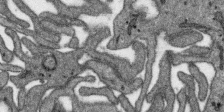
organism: Human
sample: Lung epithelial cells, uninfected (mock) control